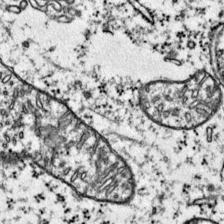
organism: Mouse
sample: Primary visual cortex